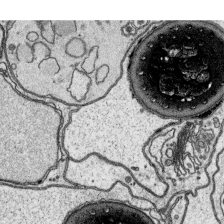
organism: Platynereis dumerilii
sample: Parapodia